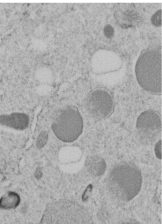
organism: C. elegans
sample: C. elegans embryo early stage